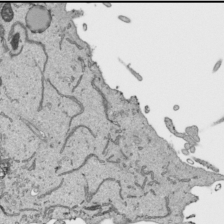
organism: Human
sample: Mitochondria in HCT116 cells